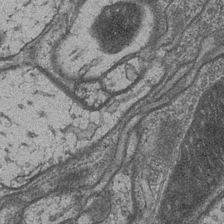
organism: Drosophila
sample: Optic medulla